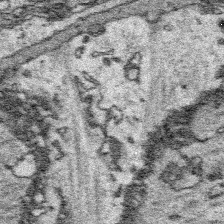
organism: Platynereis dumerilii